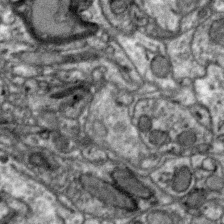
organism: Zebra finch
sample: Brain